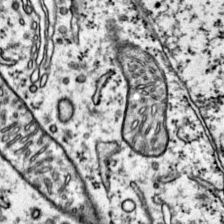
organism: Mouse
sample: Primary visual cortex